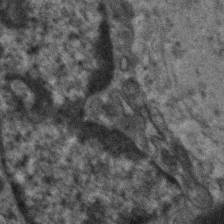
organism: Human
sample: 1205lu cells